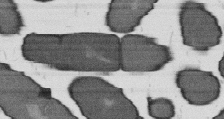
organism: B. subtilis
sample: Bacterial spore